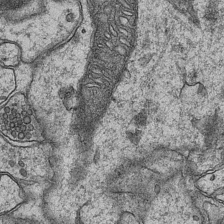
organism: Mouse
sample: CA1 Hippocampus